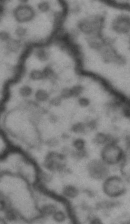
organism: Drosophila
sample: Brain